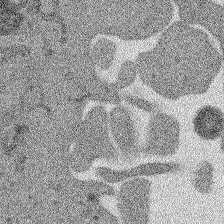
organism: Human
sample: HeLa cells